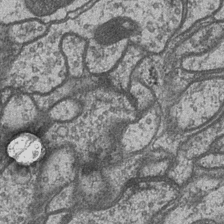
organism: Drosophila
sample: Optic medulla